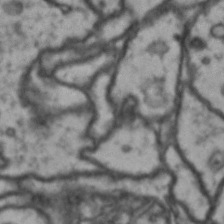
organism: Drosophila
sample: Brain